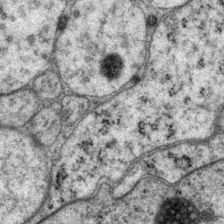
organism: P. pacificus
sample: Pharynx